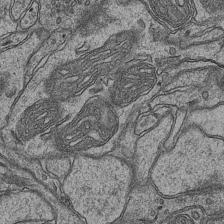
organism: Mouse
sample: CA1 Hippocampus